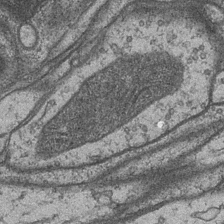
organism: Drosophila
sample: Optic medulla